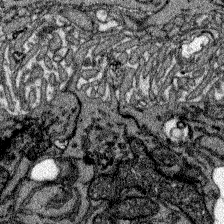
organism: Zebrafish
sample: Larval olfactory bulb